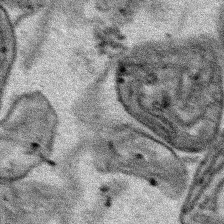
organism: Human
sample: Mitochondria in HCT116 cells